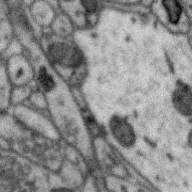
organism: Zebra finch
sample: Brain